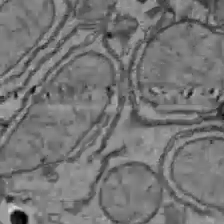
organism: C57BL Mouse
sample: Liver